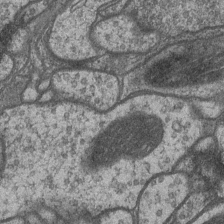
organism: Drosophila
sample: Optic medulla